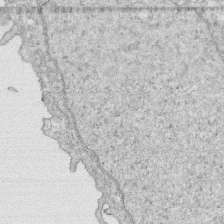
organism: Human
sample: HeLa cell HIV synapse